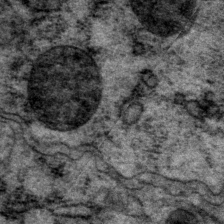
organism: P. pacificus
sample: Pharynx